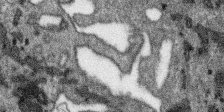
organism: Human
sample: Lung epithelial cells infected with SARS-CoV-2